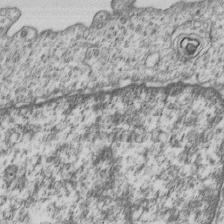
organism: Human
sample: MDA-MB-231 cells